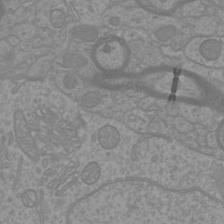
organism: Mouse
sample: Cortical neurons